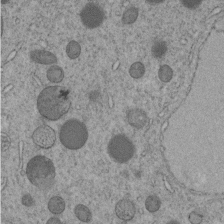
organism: C. elegans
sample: C. elegans embryo early stage